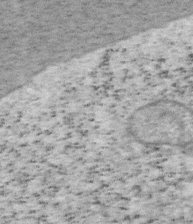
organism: Mouse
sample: OT-I killer T cells with ID8 ovarian cancer cells